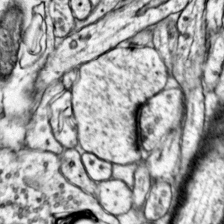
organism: Mouse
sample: Primary visual cortex